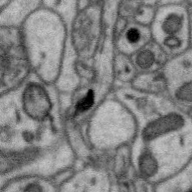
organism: Zebra finch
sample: Brain